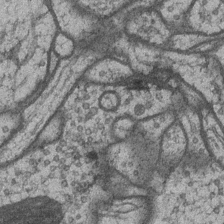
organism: Drosophila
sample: Optic medulla